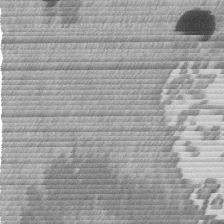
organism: Mouse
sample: Dividing mouse embryo 1 cell stage